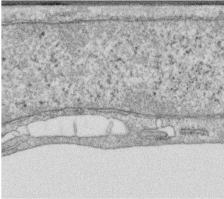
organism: Human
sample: Centriole in RPE cells